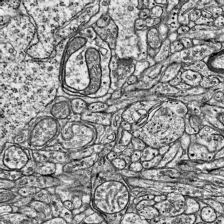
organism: Mouse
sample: Visual Cortex